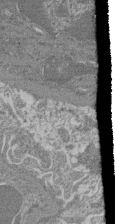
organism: Mouse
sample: Glomerulus